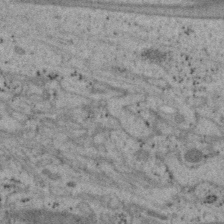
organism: Human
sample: HeLa cells